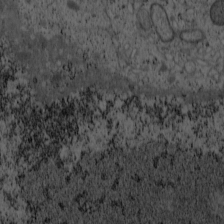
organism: African green monkey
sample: COS-7 cells